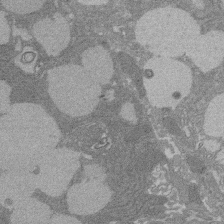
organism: Rat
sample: Salivary granule